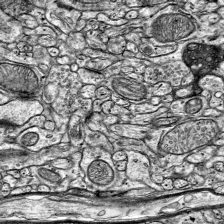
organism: Mouse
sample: Visual Cortex